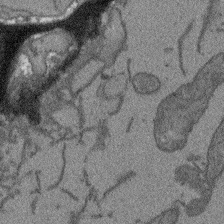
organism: Arabidopsis thaliana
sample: Root tip